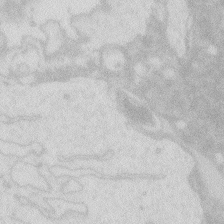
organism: Zebrafish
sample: Macrophage